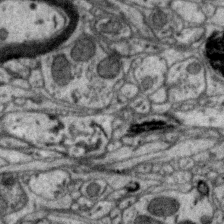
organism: Zebra finch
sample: Brain